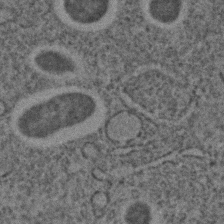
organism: C. elegans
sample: C. elegans embryo